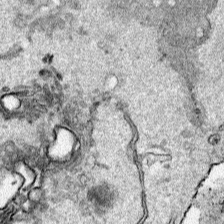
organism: Human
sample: Mitochondria in HCT116 cells